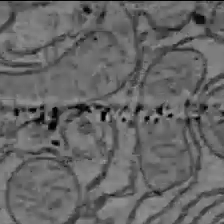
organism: C57BL Mouse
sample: Liver